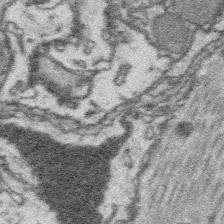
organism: Platynereis dumerilii